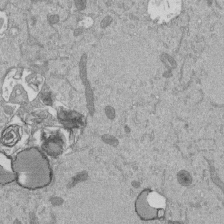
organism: Mouse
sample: ED-1 cell nuclei; centrioles